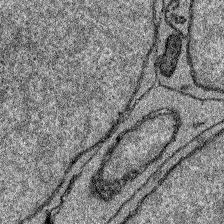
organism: Zebrafish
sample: Larval olfactory bulb